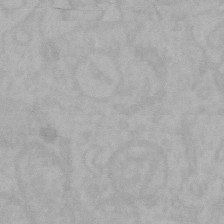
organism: Mouse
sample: Choroid plexus